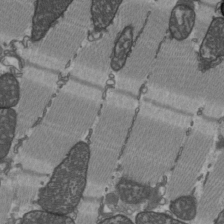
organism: C57BL Mouse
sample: Heart